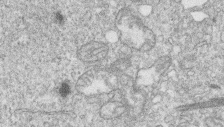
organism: Human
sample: HeLa cell HIV synapse